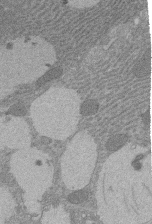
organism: Rat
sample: Salivary granule